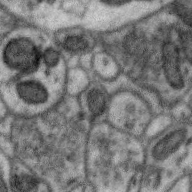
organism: Zebra finch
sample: Brain